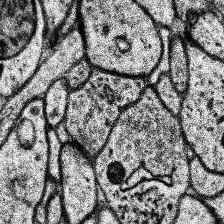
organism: Human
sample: Temporal Lobe